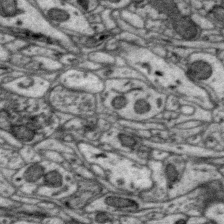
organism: Zebra finch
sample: Brain